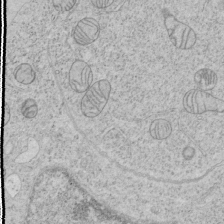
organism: Human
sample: Mitochondria in HCT116 cells